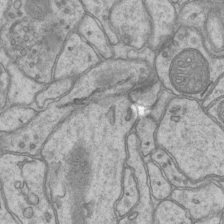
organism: Mouse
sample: CA1 Hippocampus